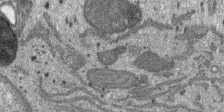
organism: Human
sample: Lung epithelial cells infected with SARS-CoV-2